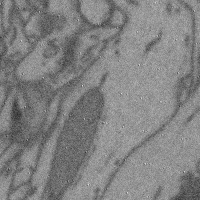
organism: Mouse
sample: Cerebral cortex